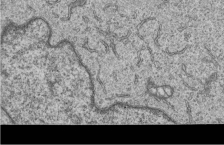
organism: Human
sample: MDA-MB-231 cells